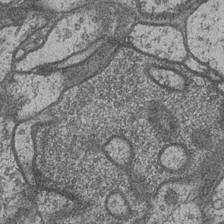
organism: Drosophila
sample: Optic medulla